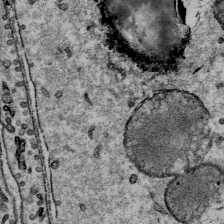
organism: Mouse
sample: Mouse Salivary gland